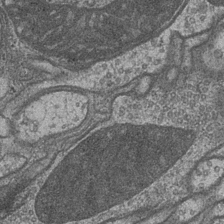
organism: Drosophila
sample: Optic medulla